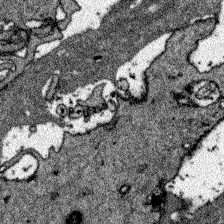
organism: Zebrafish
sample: Larval olfactory bulb